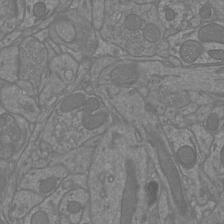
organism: Mouse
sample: Cortical neurons